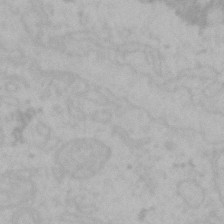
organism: Mouse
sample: Choroid plexus